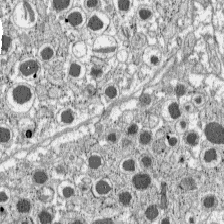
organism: C57BL Mouse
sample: Pancreatic islet